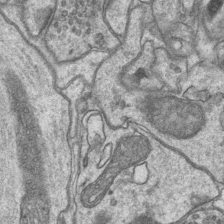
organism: Mouse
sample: CA1 Hippocampus